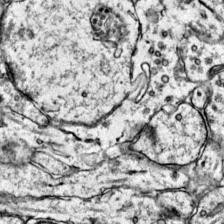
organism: Mouse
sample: Primary visual cortex